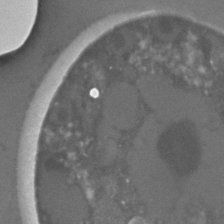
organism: C. elegans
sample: C. elegans embryo